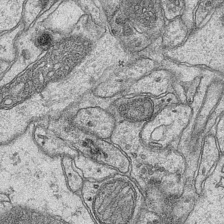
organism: Mouse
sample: CA1 Hippocampus